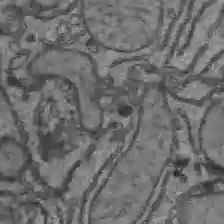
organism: C57BL Mouse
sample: Liver